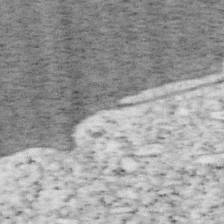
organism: Mouse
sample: OT-I killer T cells with ID8 ovarian cancer cells